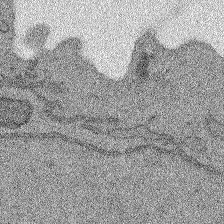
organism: Human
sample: HeLa cells